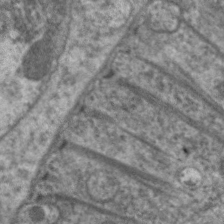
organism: C. elegans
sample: Pharynx